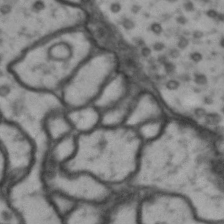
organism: Drosophila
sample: Brain